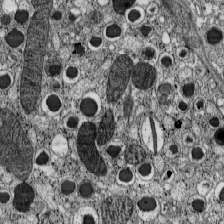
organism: C57BL Mouse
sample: Pancreatic islet